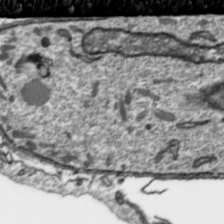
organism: Toxoplasma gondii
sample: Parasites in a vacuole inside a host cell